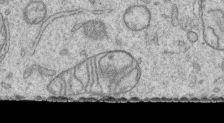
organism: Human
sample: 1205lu cells